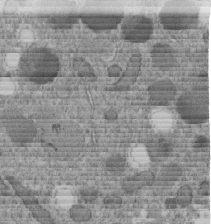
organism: C. elegans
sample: C. elegans embryo early stage